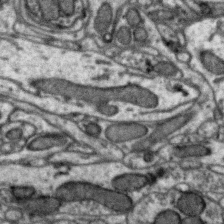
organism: Zebra finch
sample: Brain